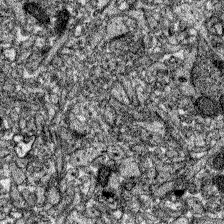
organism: Zebrafish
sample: Larval olfactory bulb